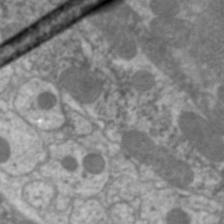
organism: C. elegans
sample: Pharynx